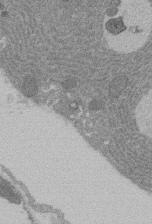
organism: Rat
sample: Salivary granule